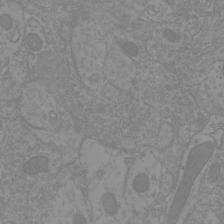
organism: Mouse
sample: Cortical neurons